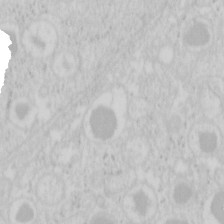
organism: Mouse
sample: Pancreas